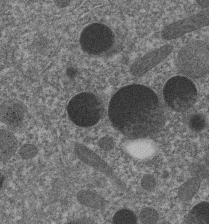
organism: C. elegans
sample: C. elegans embryo early stage